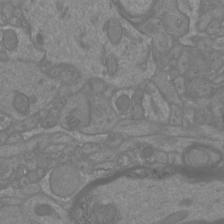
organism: Mouse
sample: Cortical neurons